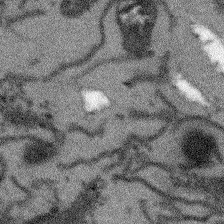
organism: Arabidopsis thaliana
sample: Root tip